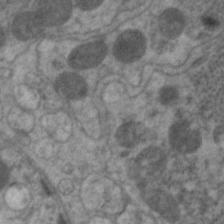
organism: C. elegans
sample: Pharynx